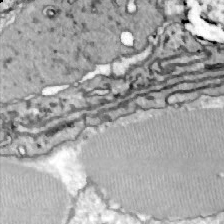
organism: Zebrafish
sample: Actinotrichia fibers